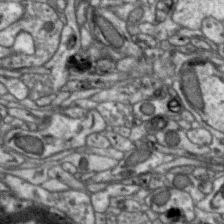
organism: Zebra finch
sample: Brain